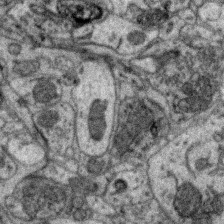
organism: Zebra finch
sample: Brain